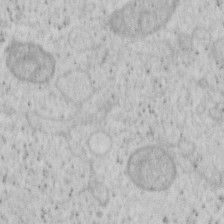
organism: Human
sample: HeLa cells